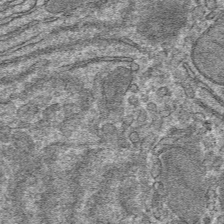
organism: Mouse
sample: Mouse hepatocytes